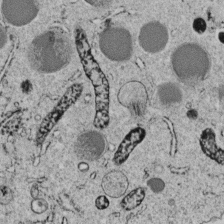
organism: C. elegans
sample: C. elegans embryo early stage